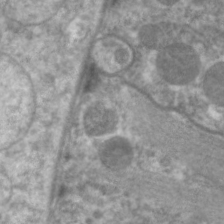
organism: C. elegans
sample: Pharynx